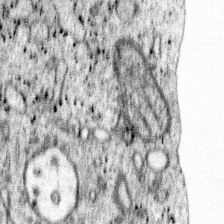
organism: Human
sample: HeLa cells